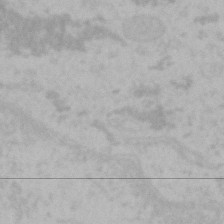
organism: Mouse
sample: Choroid plexus